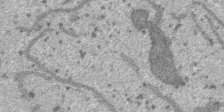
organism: Human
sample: Lung epithelial cells infected with SARS-CoV-2